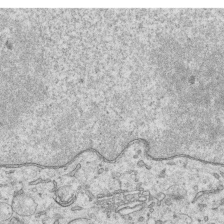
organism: Human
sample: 1205lu cells